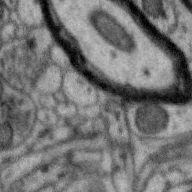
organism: Zebra finch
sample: Brain